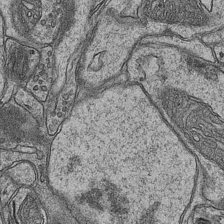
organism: Mouse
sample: CA1 Hippocampus